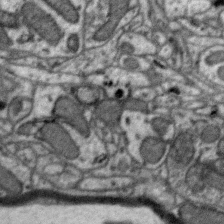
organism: Zebra finch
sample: Brain